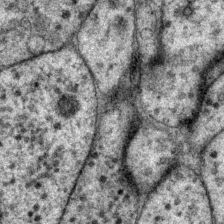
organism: P. pacificus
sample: Pharynx